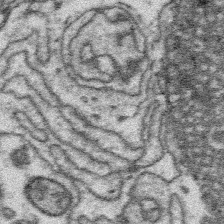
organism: Platynereis dumerilii